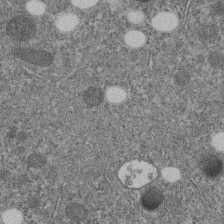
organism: C. elegans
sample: C. elegans embryo early stage